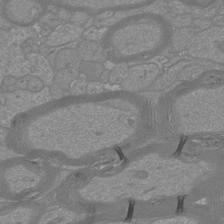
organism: Mouse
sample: Cortical neurons